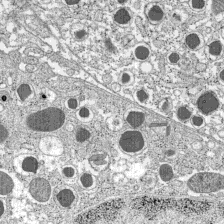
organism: C57BL Mouse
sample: Pancreatic islet